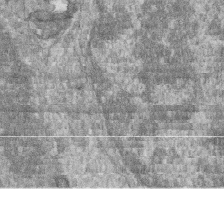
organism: Zebrafish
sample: Cilia; retinal pigment epithelium